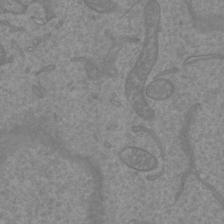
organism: Mouse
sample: Cortical neurons